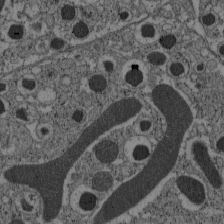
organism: C57BL Mouse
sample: Pancreatic islet